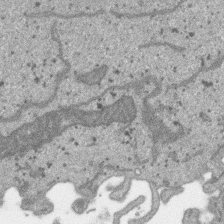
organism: Human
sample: Lung epithelial cells infected with SARS-CoV-2